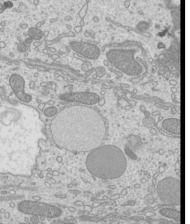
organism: Mouse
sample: Cilia; mouse epididymis